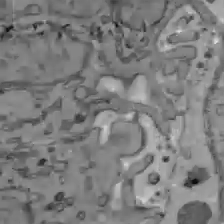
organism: C57BL Mouse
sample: Liver